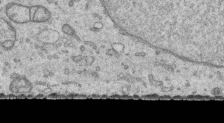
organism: Human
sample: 1205lu cells